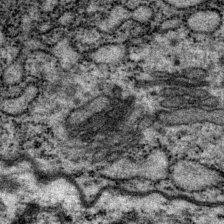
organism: P. pacificus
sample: Pharynx